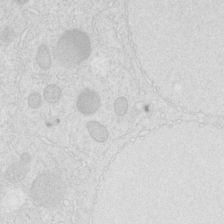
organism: C. elegans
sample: C. elegans embryo early stage